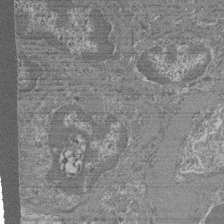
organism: Mouse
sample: Glomerulus